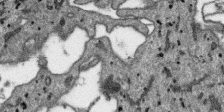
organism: Human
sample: Lung epithelial cells, uninfected (mock) control